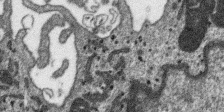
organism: Human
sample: Lung epithelial cells infected with SARS-CoV-2